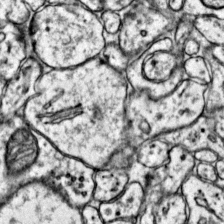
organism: Mouse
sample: Primary visual cortex